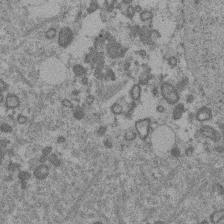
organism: Mouse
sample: Dividing mouse embryo 1 cell stage